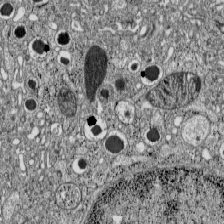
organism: C57BL Mouse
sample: Pancreatic islet